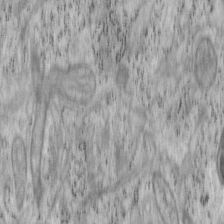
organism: Human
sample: HeLa cells